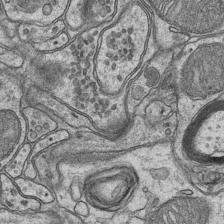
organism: Mouse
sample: CA1 Hippocampus